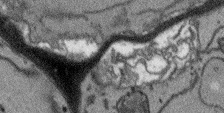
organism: Arabidopsis thaliana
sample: Root tip